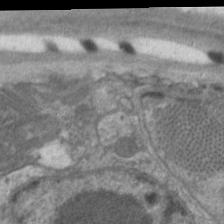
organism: C. elegans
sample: Pharynx